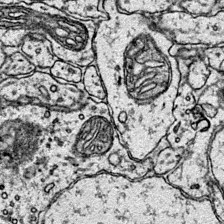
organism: Mouse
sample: Primary visual cortex